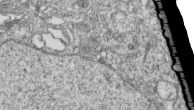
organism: Human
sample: HeLa cell HIV synapse